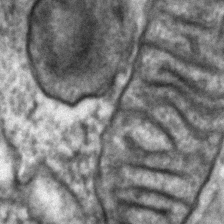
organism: Zebrafish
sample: Zebrafish embryo